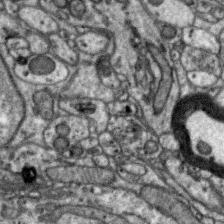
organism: Zebra finch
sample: Brain